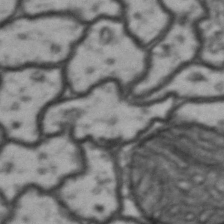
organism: Drosophila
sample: Brain